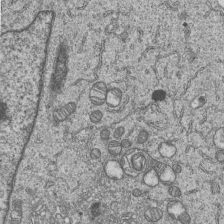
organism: Human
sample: MDA-MB-231 cells